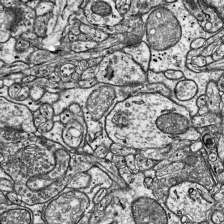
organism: Mouse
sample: Visual Cortex